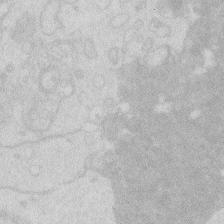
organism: Zebrafish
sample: Macrophage